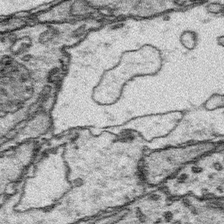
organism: Platynereis dumerilii